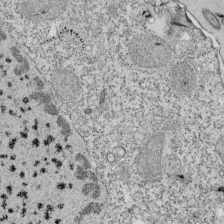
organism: Tetrahymena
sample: Cilia in tetrahymena